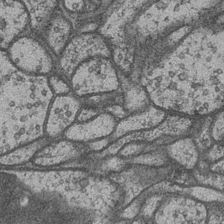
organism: Drosophila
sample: Optic medulla